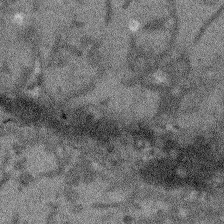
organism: Arabidopsis thaliana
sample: Root tip